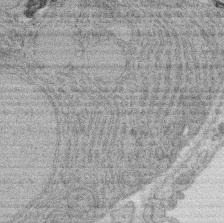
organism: Rat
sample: Salivary granule